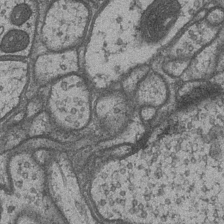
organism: Drosophila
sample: Optic medulla